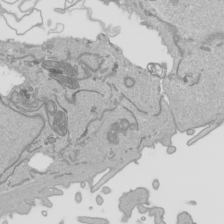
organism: Human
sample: Mitochondria in HCT116 cells